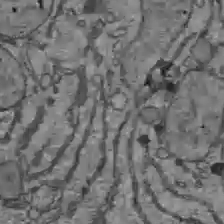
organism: C57BL Mouse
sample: Liver